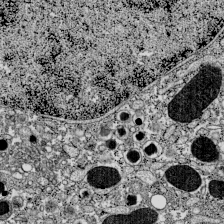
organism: C57BL Mouse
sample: Pancreatic islet